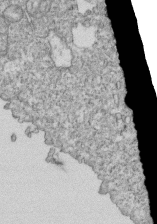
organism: Human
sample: HeLa cell HIV synapse